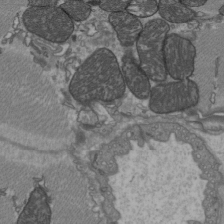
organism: C57BL Mouse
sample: Heart